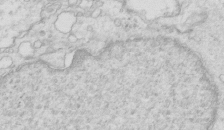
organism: Mouse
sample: Multiciliated cells